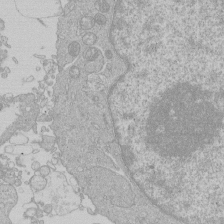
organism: Human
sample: Macrophage cells